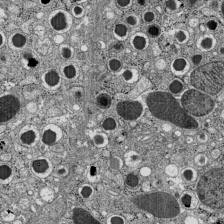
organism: C57BL Mouse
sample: Pancreatic islet